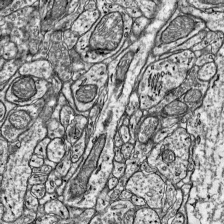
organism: Mouse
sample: Visual Cortex